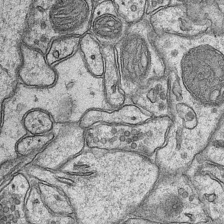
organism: Mouse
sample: CA1 Hippocampus